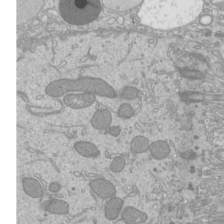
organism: Mouse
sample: Cilia; mouse epididymis